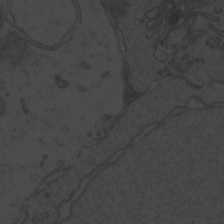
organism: Zebrafish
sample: Macrophage infected with Toxoplasma gondii